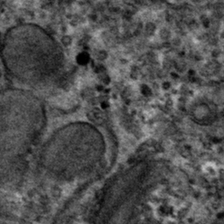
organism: Mouse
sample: Mouse hepatocytes